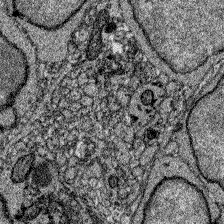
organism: Zebrafish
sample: Larval olfactory bulb